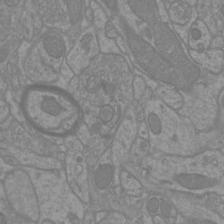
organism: Mouse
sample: Cortical neurons